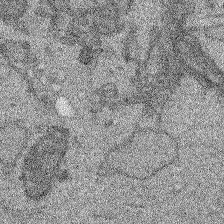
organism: Human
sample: HeLa cells